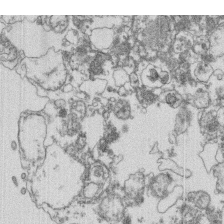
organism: Human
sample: HeLa cell HIV synapse